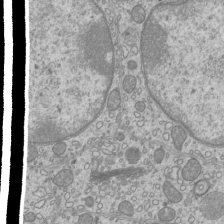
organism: Mouse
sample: Cilia; mouse epididymis